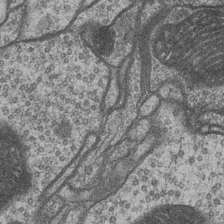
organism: Drosophila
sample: Optic medulla